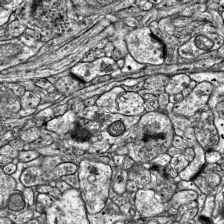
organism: Mouse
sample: Visual Cortex